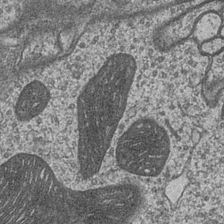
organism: Drosophila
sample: Optic medulla